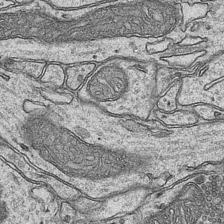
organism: Mouse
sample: CA1 Hippocampus